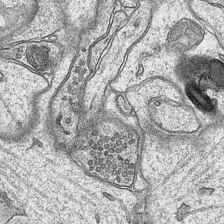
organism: Mouse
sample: CA1 Hippocampus